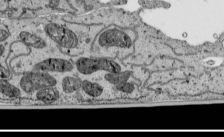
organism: Human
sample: Mitochondria in HCT116 cells